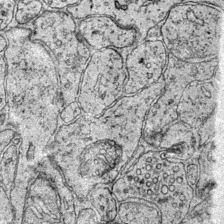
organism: Mouse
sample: Primary visual cortex